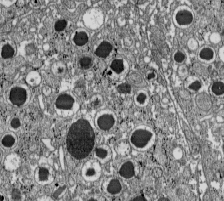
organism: C57BL Mouse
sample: Pancreatic islet